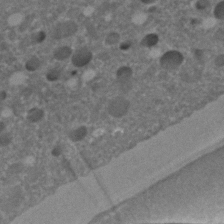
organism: C. elegans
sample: C. elegans embryo